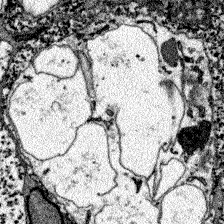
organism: Zebrafish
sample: Larval olfactory bulb